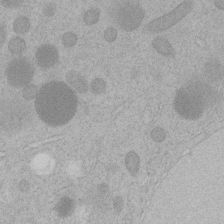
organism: C. elegans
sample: C. elegans embryo early stage